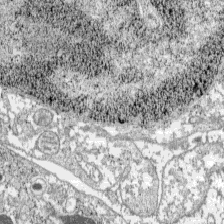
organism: C57BL Mouse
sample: Pancreatic islet